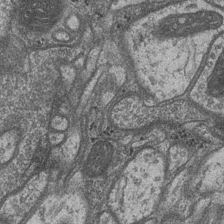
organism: Drosophila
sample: Optic medulla